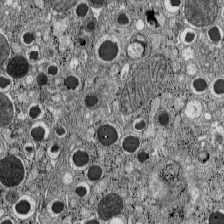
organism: C57BL Mouse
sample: Pancreatic islet